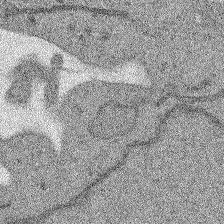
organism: Human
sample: HeLa cells